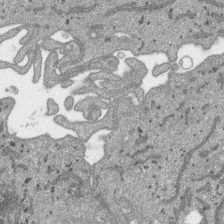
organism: Human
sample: Lung epithelial cells infected with SARS-CoV-2